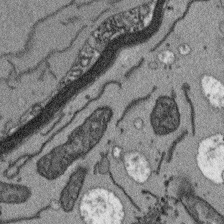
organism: Arabidopsis thaliana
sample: Root tip